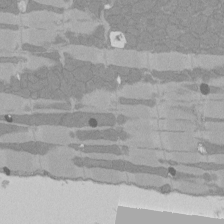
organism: Rat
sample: Left ventricle